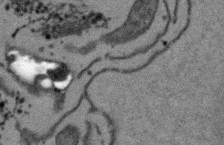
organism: Arabidopsis thaliana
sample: Root tip